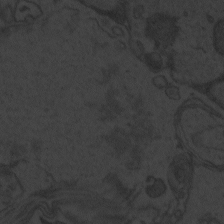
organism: Zebrafish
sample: Macrophage infected with Toxoplasma gondii